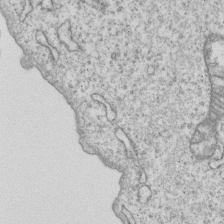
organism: Human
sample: MDA-MB-231 cells